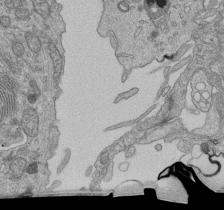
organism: Human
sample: Retinal organoid Rod and Cone cells